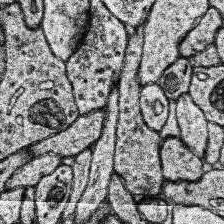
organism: Human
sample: Temporal Lobe